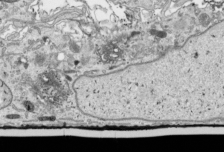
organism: Human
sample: Mitochondria in HCT116 cells